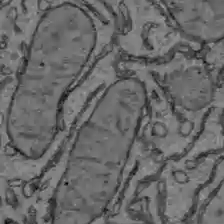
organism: C57BL Mouse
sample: Liver